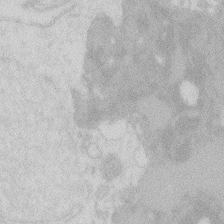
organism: Zebrafish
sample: Macrophage